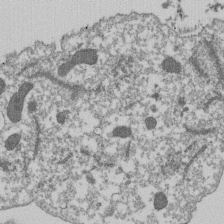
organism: Dictyostelium discoideum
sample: Dictyostelium multivesicular bodies